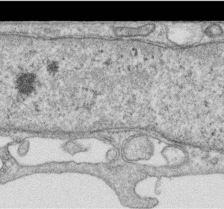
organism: Human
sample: Centriole in RPE cells